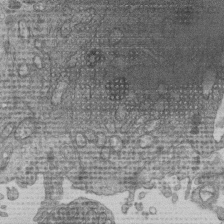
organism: Human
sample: Retinal organoid Rod and Cone cells